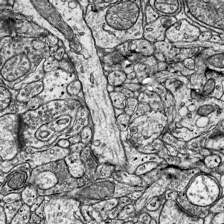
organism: Mouse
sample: Visual Cortex